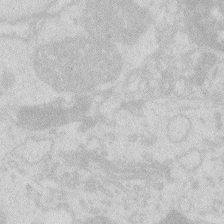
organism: Zebrafish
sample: Macrophage